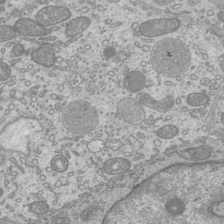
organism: Mouse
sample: Cilia; mouse epididymis